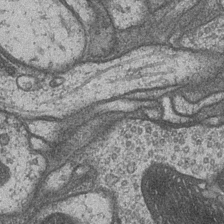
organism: Drosophila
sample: Optic medulla